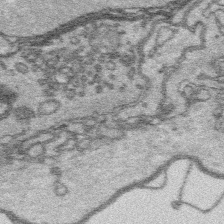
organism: Platynereis dumerilii